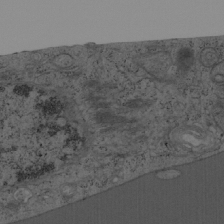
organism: Human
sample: HeLa cells